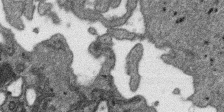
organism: Human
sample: Lung epithelial cells infected with SARS-CoV-2